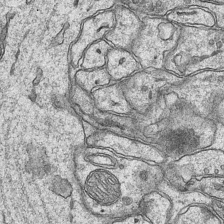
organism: Mouse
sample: CA1 Hippocampus